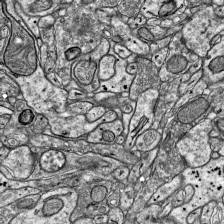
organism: Mouse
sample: Visual Cortex